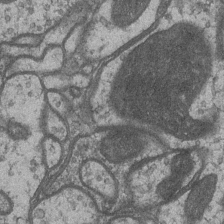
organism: Drosophila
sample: Optic medulla